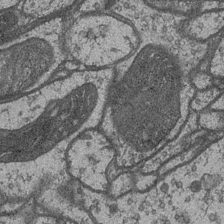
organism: Drosophila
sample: Optic medulla